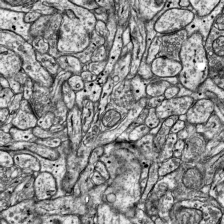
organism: Mouse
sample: Visual Cortex